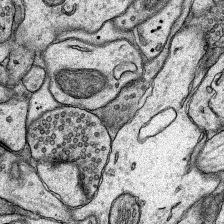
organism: Rat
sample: Hippocampus